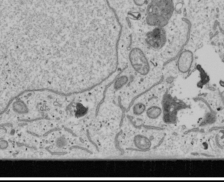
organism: Human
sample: Mitochondria in U2OS cells